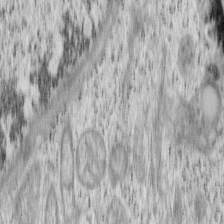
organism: Human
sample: HeLa cells